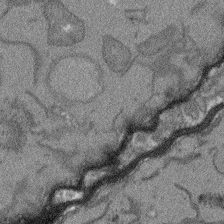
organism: Arabidopsis thaliana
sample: Root tip